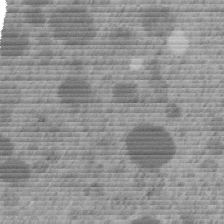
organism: C. elegans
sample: C. elegans embryo early stage